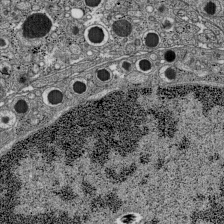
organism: C57BL Mouse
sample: Pancreatic islet